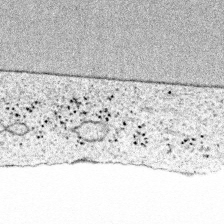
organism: Human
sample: HeLa cells